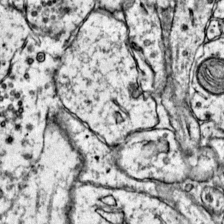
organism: Mouse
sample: Primary visual cortex